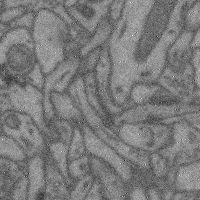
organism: Mouse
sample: Cerebral cortex